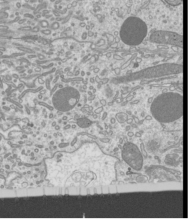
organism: Mouse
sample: Cilia; mouse epididymis